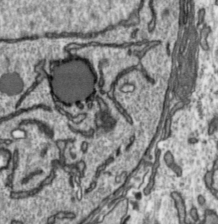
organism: Toxoplasma gondii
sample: Parasites in a vacuole inside a host cell